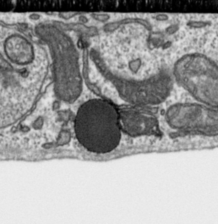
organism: Toxoplasma gondii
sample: Parasites in a vacuole inside a host cell